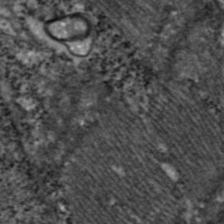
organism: Zebrafish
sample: Zebrafish embryo